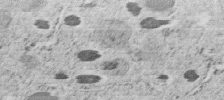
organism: C. elegans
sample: C. elegans embryo early stage